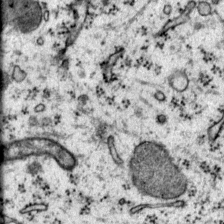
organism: Mouse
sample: Primary visual cortex